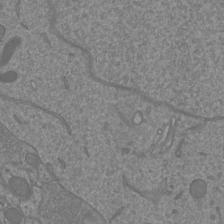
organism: Mouse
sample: Cortical neurons